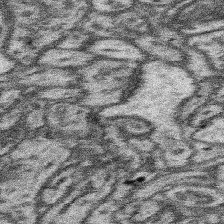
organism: Mouse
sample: Somatosensory cortex neuropil